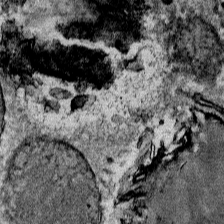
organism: Mouse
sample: Mouse Salivary gland